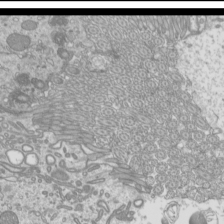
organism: Mouse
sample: Cilia; mouse epididymis